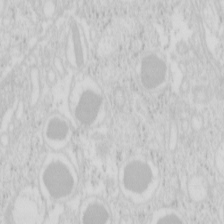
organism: Mouse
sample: Pancreas